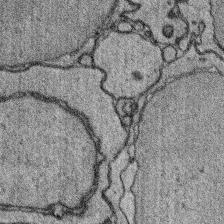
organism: Platynereis dumerilii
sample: Parapodia